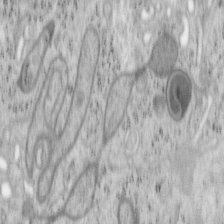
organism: Human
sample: HeLa cells